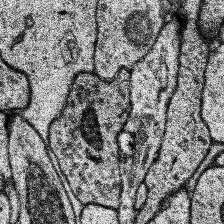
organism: Human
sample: Temporal Lobe